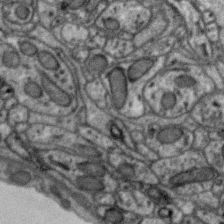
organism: Zebra finch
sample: Brain